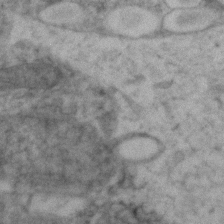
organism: Zebrafish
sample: Zebrafish embryo